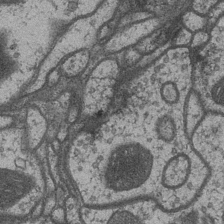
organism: Drosophila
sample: Optic medulla